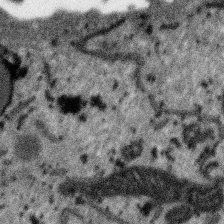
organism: Human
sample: Lung epithelial cells infected with SARS-CoV-2